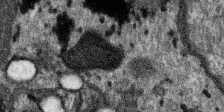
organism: Human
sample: Lung epithelial cells infected with SARS-CoV-2